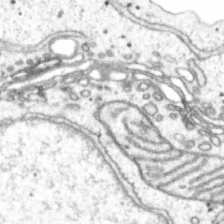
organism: Human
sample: HeLa cells